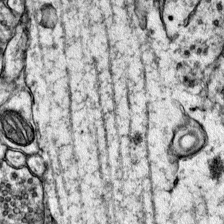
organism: Mouse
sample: Primary visual cortex